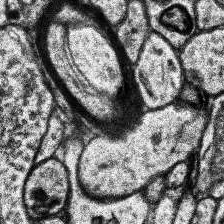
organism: Human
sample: Temporal Lobe